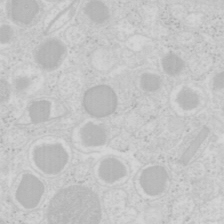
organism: Mouse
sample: Pancreas